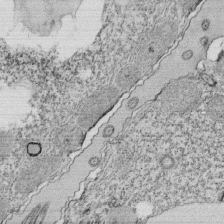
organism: Tetrahymena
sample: Cilia in tetrahymena